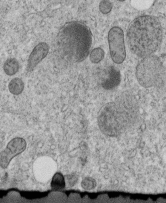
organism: C. elegans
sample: C. elegans embryo early stage